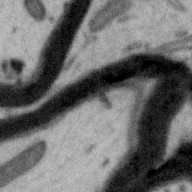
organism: Zebra finch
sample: Brain